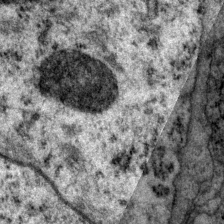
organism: P. pacificus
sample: Pharynx